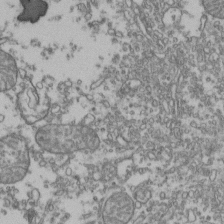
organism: Human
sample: Activated Jurkat CD4+ T cells